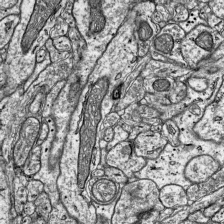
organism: Mouse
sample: Visual Cortex